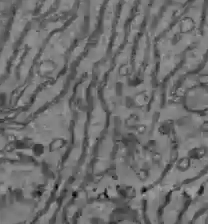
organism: C57BL Mouse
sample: Liver